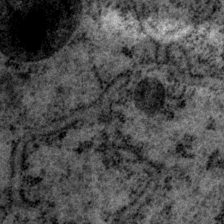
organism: P. pacificus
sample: Pharynx